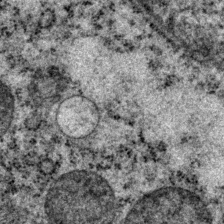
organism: P. pacificus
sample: Pharynx